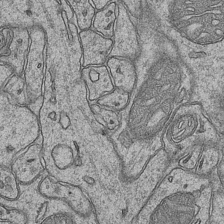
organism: Mouse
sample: CA1 Hippocampus